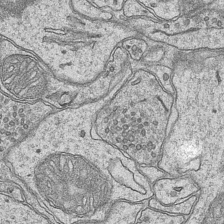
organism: Mouse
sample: CA1 Hippocampus